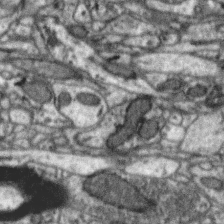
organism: Zebra finch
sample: Brain